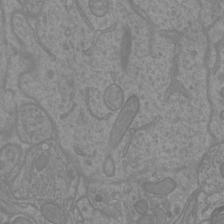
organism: Mouse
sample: Cortical neurons